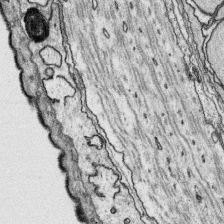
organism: Platynereis dumerilii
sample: Parapodia